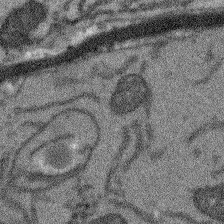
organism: Arabidopsis thaliana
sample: Root tip